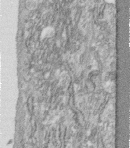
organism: Human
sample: Centriole in fibroblast cells